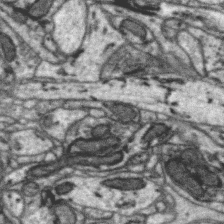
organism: Zebra finch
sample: Brain